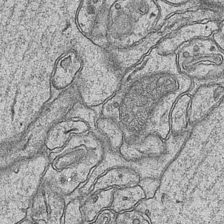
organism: Mouse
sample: CA1 Hippocampus